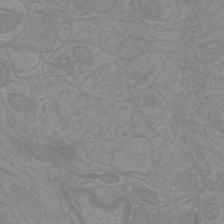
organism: Mouse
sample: Cortical neurons